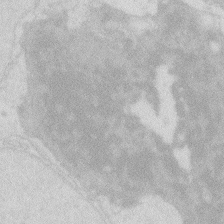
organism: Zebrafish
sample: Macrophage